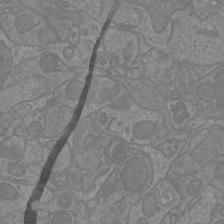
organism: Mouse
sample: Cortical neurons